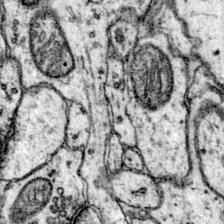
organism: Mouse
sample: Primary visual cortex